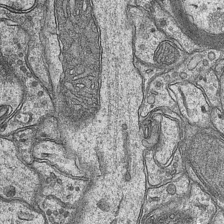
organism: Mouse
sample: CA1 Hippocampus